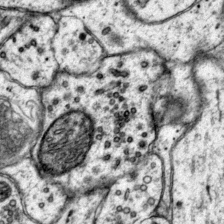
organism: Mouse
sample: Primary visual cortex